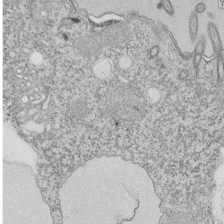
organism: Tetrahymena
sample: Cilia in tetrahymena